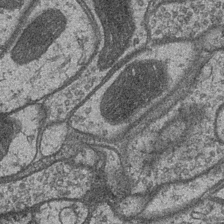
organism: Drosophila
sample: Optic medulla